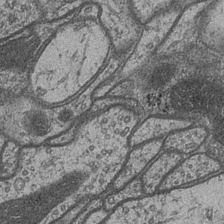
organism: Drosophila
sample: Optic medulla